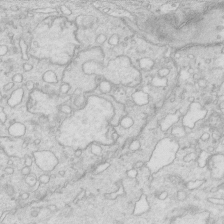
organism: Mouse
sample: Multiciliated cells